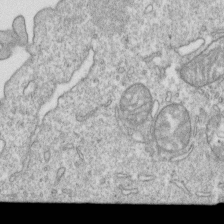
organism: Mouse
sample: Activated OT-1 CD8+ T cells